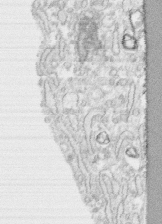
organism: Human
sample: CRL-1474